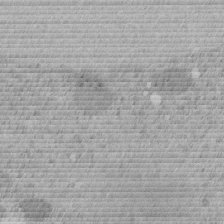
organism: C. elegans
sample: C. elegans embryo early stage